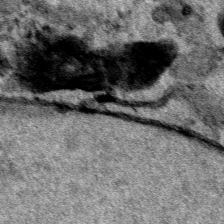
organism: Human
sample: Mitochondria in HCT116 cells